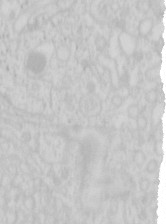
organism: Mouse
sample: Pancreas